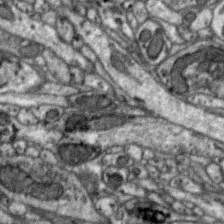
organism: Zebra finch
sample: Brain